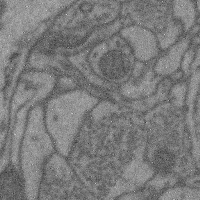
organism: Mouse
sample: Cerebral cortex